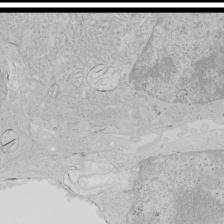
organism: Human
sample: Mitochondria in HCT116 cells